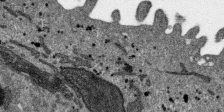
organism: Human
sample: Lung epithelial cells, uninfected (mock) control